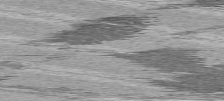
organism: C57BL Mouse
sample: Heart